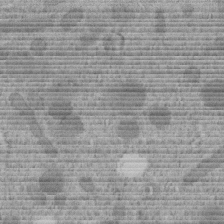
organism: C. elegans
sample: C. elegans embryo early stage